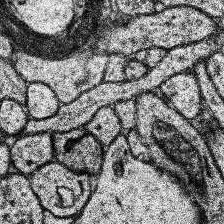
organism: Human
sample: Temporal Lobe